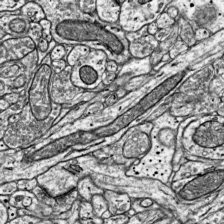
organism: Mouse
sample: Visual Cortex